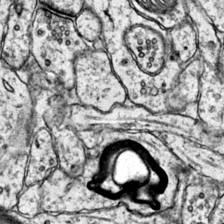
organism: Mouse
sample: Primary visual cortex